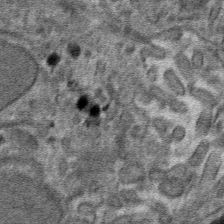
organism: Mouse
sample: Mouse hepatocytes